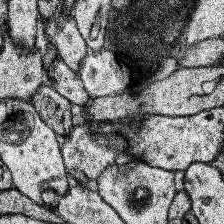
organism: Human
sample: Temporal Lobe